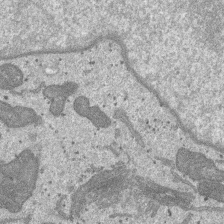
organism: Human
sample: Lung epithelial cells infected with SARS-CoV-2